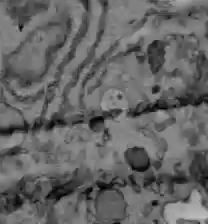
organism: C57BL Mouse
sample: Liver